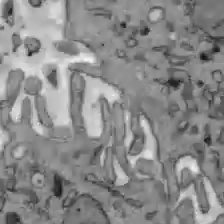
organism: C57BL Mouse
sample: Liver